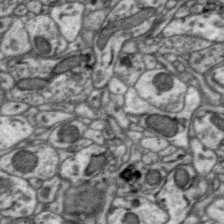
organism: Zebra finch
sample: Brain